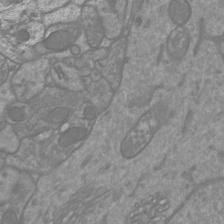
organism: Mouse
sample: Cortical neurons